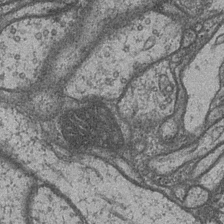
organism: Drosophila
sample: Optic medulla